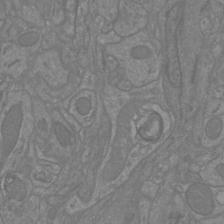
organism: Mouse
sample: Cortical neurons